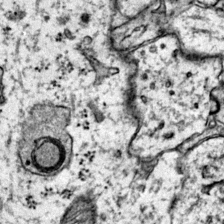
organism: Mouse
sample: Primary visual cortex